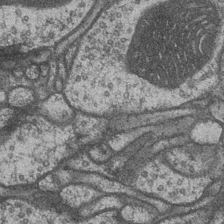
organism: Drosophila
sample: Optic medulla